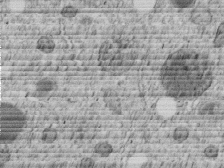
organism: C. elegans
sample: C. elegans embryo early stage